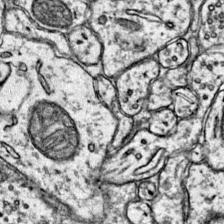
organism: Mouse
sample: Primary visual cortex